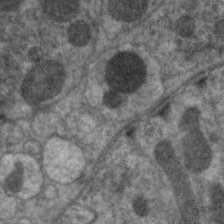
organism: C. elegans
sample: Pharynx